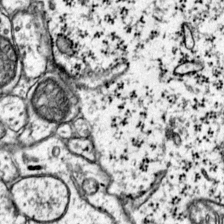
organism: Mouse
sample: Primary visual cortex